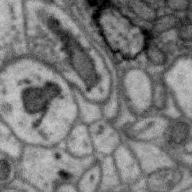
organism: Zebra finch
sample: Brain